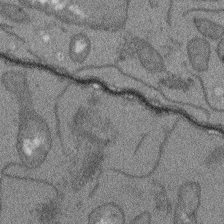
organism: Arabidopsis thaliana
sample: Root tip